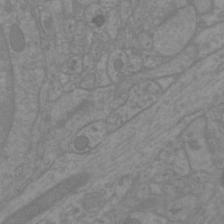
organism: Mouse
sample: Cortical neurons